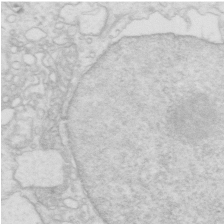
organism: Mouse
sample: Multiciliated cells